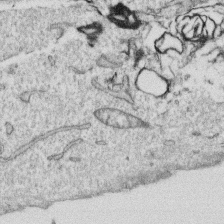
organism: Human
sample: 1205lu cells